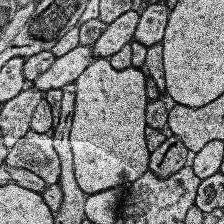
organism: Human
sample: Temporal Lobe